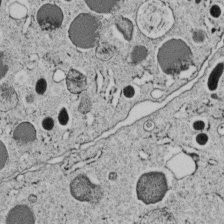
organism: C. elegans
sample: C. elegans embryo early stage